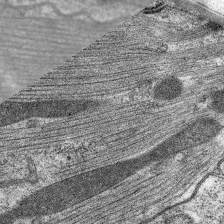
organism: C. elegans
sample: Pharynx